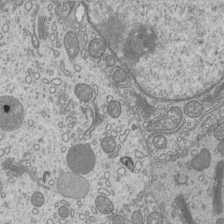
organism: Mouse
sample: Cilia; mouse epididymis